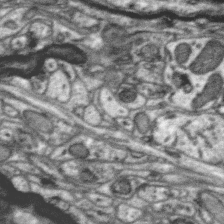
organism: Zebra finch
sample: Brain